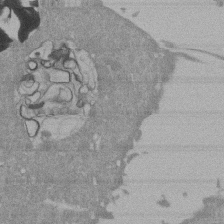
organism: Mouse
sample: ED-1 cell nuclei; centrioles